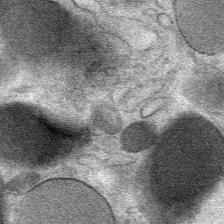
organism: Mouse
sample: Mouse Salivary gland